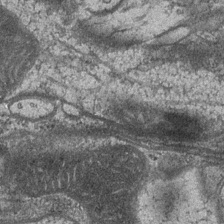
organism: Drosophila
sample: Optic medulla